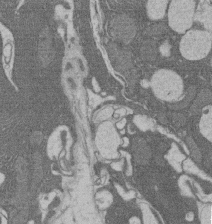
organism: Rat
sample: Salivary granule